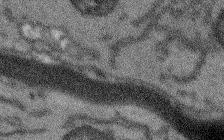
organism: Arabidopsis thaliana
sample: Root tip